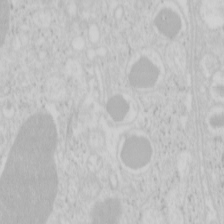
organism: Mouse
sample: Pancreas